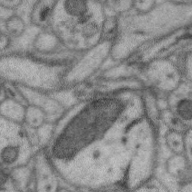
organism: Zebra finch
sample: Brain